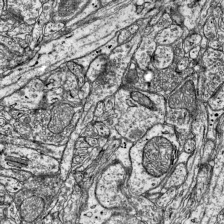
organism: Mouse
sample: Visual Cortex